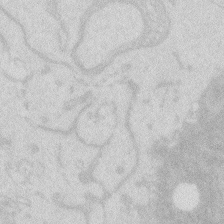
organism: Zebrafish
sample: Macrophage